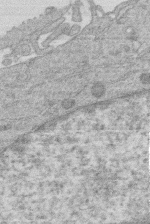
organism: Human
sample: Macrophage cells